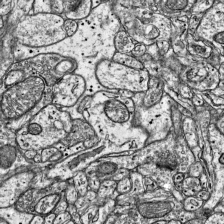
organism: Mouse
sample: Visual Cortex